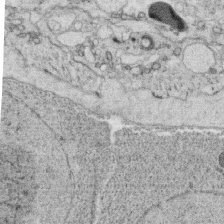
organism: C. elegans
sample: C. elegans oocyte; sperm cells